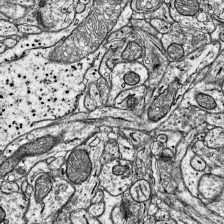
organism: Mouse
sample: Visual Cortex